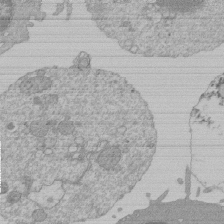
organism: Mouse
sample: Activated Pmel transgenic CD8+ T Cells